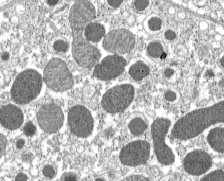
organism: C57BL Mouse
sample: Pancreatic islet